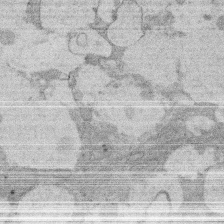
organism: Rat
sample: Salivary granule